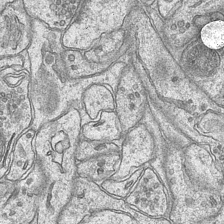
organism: Mouse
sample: CA1 Hippocampus